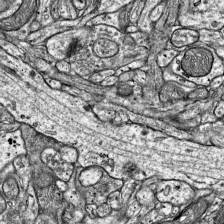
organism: Mouse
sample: Visual Cortex